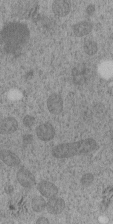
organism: C. elegans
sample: C. elegans embryo early stage